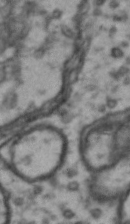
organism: Drosophila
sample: Brain